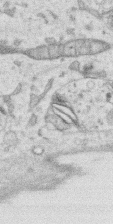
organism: Human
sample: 1205lu cells